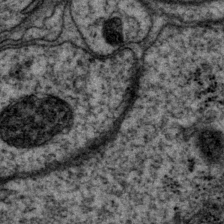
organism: P. pacificus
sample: Pharynx